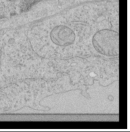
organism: Human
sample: Mitochondria in HCT116 cells